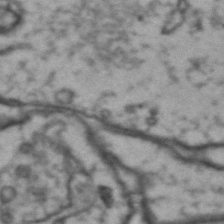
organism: Drosophila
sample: Brain